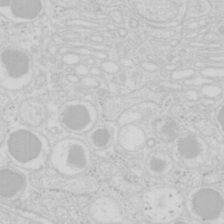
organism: Mouse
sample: Pancreas